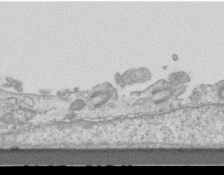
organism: Mouse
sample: Centriole in ependymal cells